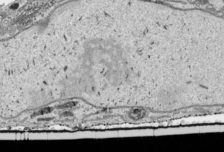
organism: Human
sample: Mitochondria in HCT116 cells